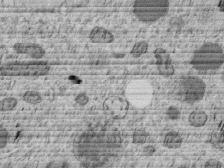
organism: C. elegans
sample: C. elegans embryo early stage